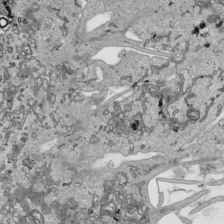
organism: Human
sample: Mitochondria in HCT116 cells